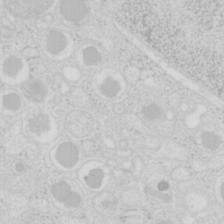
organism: Mouse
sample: Pancreas